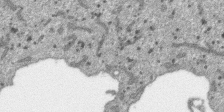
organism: Human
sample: Lung epithelial cells infected with SARS-CoV-2